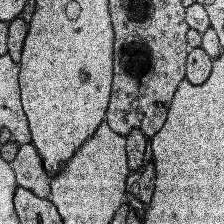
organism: Human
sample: Temporal Lobe